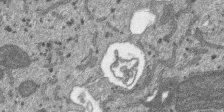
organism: Human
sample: Lung epithelial cells infected with SARS-CoV-2